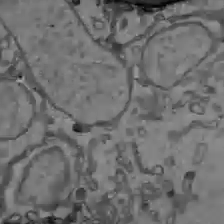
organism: C57BL Mouse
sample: Liver